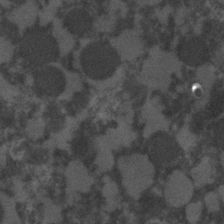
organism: C. elegans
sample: C. elegans embryo